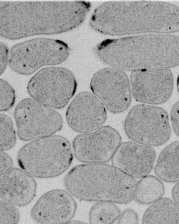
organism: E. coli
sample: Bacterial nucleoid